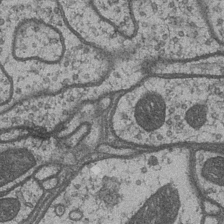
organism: Drosophila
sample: Optic medulla